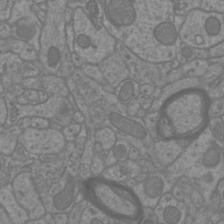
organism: Mouse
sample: Cortical neurons